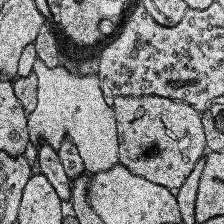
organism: Human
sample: Temporal Lobe